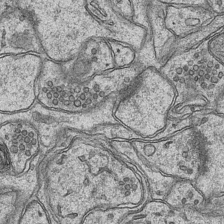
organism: Mouse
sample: CA1 Hippocampus